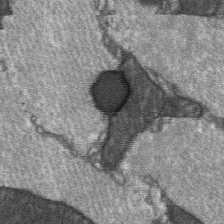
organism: C57BL Mouse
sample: Soleus